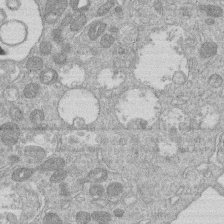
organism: Human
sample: Macrophage cells